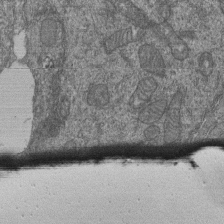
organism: Human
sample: Retinal organoid Rod and Cone cells